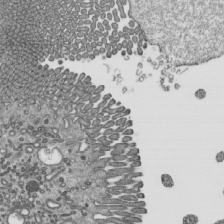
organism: Mouse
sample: Mouse epididymis efferent ductule cilia